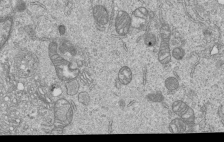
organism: Human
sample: MDA-MB-231 cells